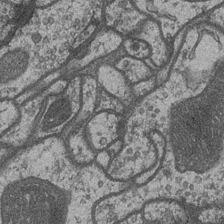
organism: Drosophila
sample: Optic medulla